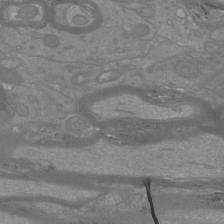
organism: Mouse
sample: Cortical neurons